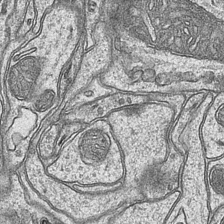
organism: Mouse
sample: CA1 Hippocampus